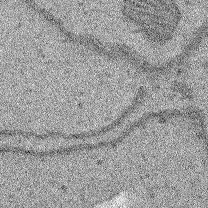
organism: Human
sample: HeLa cells